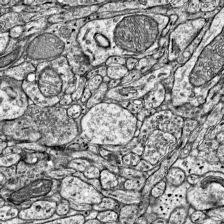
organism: Mouse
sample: Visual Cortex